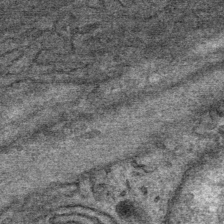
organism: Mouse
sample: Mouse Salivary gland